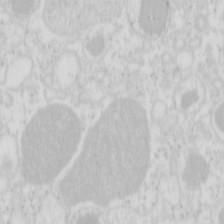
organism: Mouse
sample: Pancreas